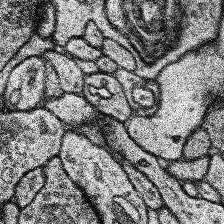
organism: Human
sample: Temporal Lobe